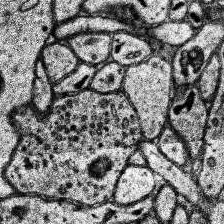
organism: Human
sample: Temporal Lobe